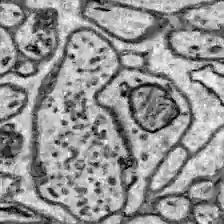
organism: Zebrafish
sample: Brain